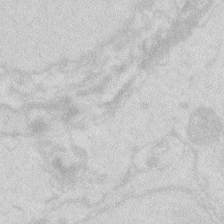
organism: Zebrafish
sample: Macrophage